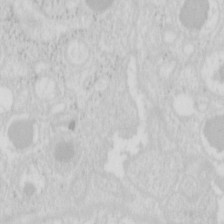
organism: Mouse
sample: Pancreas